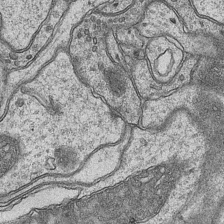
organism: Mouse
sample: CA1 Hippocampus